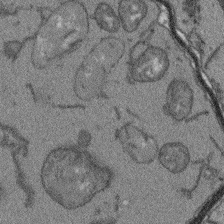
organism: Arabidopsis thaliana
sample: Root tip